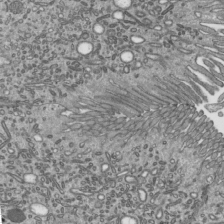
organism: Mouse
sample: Mouse epididymis efferent ductule cilia